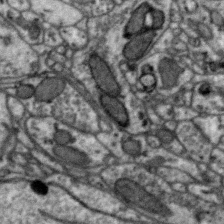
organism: Zebra finch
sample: Brain